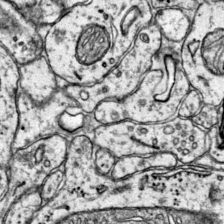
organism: Mouse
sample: Primary visual cortex